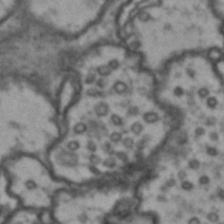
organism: Drosophila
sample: Brain